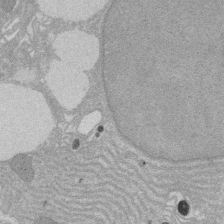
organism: Rat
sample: Salivary granule